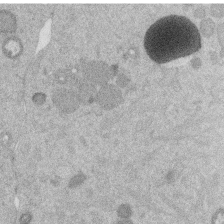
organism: Mouse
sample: Dividing mouse embryo 1 cell stage